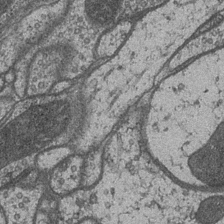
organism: Drosophila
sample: Optic medulla